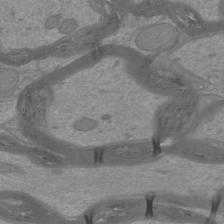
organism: Mouse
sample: Cortical neurons